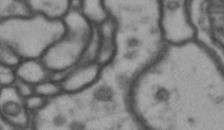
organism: Drosophila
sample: Brain